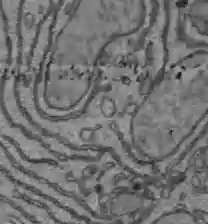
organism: C57BL Mouse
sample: Liver